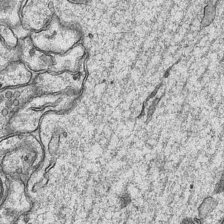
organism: Mouse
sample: CA1 Hippocampus